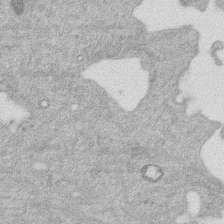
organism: Mouse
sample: Dividing mouse embryo 1 cell stage